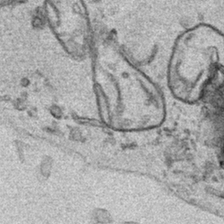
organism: Human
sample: Mitochondria in HCT116 cells